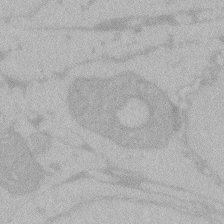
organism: Zebrafish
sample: Macrophage infected with Toxoplasma gondii